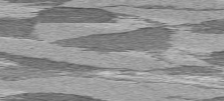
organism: C57BL Mouse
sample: Heart